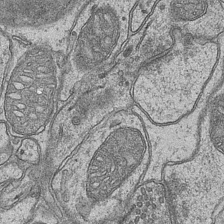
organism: Mouse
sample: CA1 Hippocampus